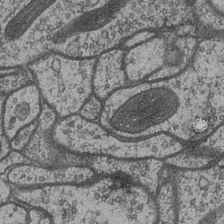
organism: Drosophila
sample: Optic medulla